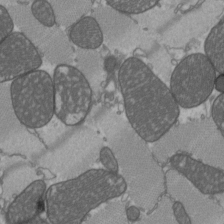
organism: C57BL Mouse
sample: Heart